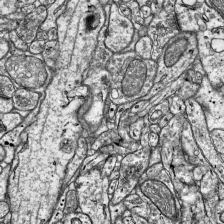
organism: Mouse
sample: Visual Cortex